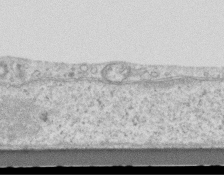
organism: Mouse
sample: Centriole in ependymal cells